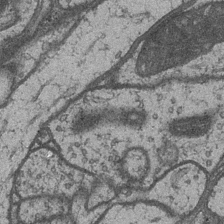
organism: Drosophila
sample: Optic medulla